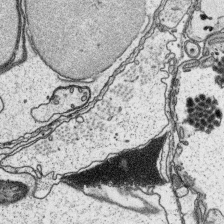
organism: Platynereis dumerilii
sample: Parapodia